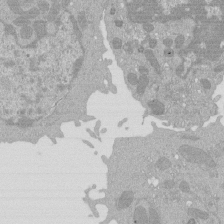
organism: Mouse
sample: Activated Pmel transgenic CD8+ T Cells